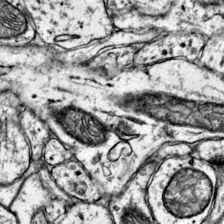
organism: Mouse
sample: Primary visual cortex